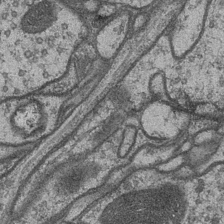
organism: Drosophila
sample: Optic medulla